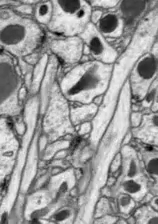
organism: Drosophila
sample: Optic lobe